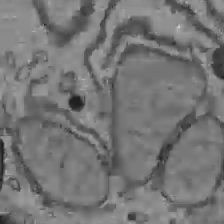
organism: C57BL Mouse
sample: Liver